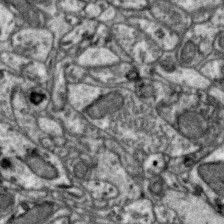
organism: Zebra finch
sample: Brain